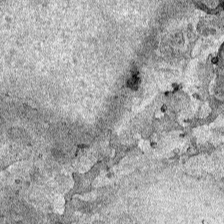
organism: Human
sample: Mitochondria in HCT116 cells